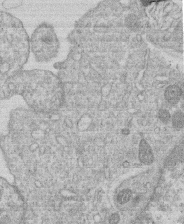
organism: Human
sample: Macrophage cells